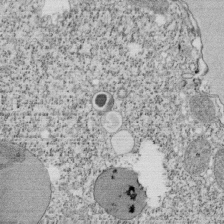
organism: Tetrahymena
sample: Cilia in tetrahymena